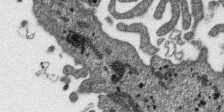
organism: Human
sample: Lung epithelial cells infected with SARS-CoV-2